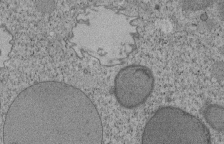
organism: Tetrahymena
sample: Cilia in tetrahymena